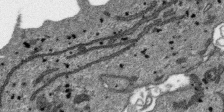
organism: Human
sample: Lung epithelial cells, uninfected (mock) control